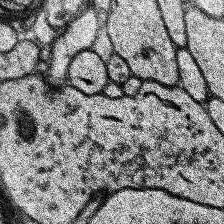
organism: Human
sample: Temporal Lobe